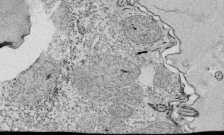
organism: Tetrahymena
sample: Cilia in tetrahymena